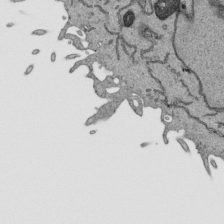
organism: Human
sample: Mitochondria in HCT116 cells